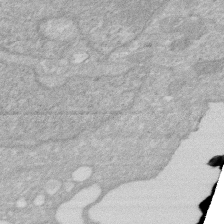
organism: Human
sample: HIV infected U937 cells